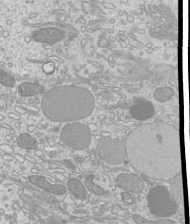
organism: Mouse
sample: Cilia; mouse epididymis